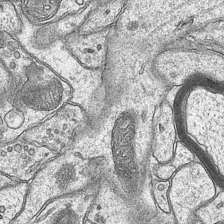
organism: Mouse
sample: CA1 Hippocampus